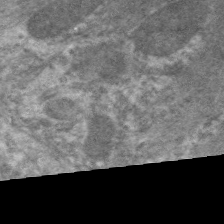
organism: C. elegans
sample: Pharynx